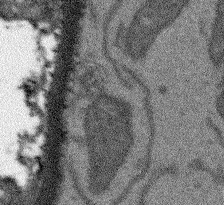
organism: Arabidopsis thaliana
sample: Root tip